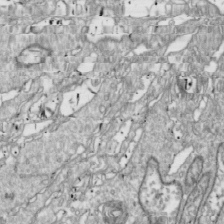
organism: Drosophila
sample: Cell division; meiosis; drosophila spermatocytes